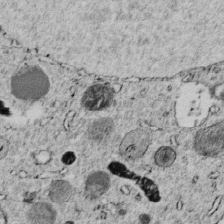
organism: C. elegans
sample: C. elegans embryo early stage